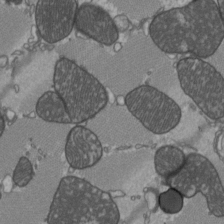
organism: C57BL Mouse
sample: Heart